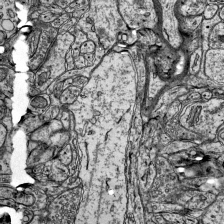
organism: Mouse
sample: Visual Cortex